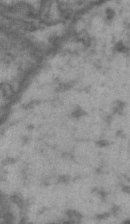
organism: Drosophila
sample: Brain